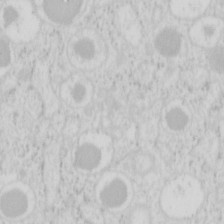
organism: Mouse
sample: Pancreas